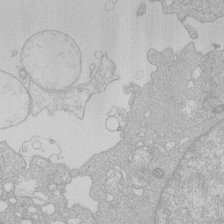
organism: Human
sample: Macrophage cells